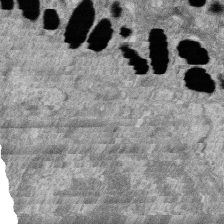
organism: Zebrafish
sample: Cilia; retinal pigment epithelium